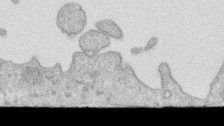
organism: Human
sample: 1205lu cells